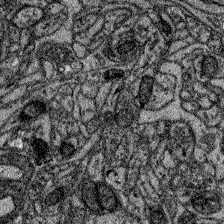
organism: Zebrafish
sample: Larval olfactory bulb